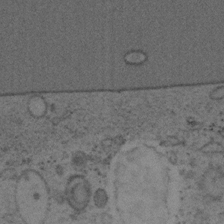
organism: Human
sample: HeLa cells